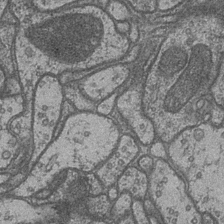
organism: Drosophila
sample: Optic medulla